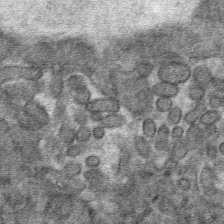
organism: Mouse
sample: Mouse hepatocytes